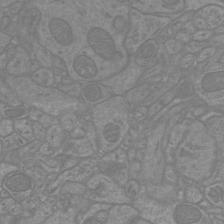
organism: Mouse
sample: Cortical neurons